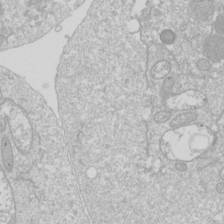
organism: Drosophila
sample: Cell division; meiosis; drosophila spermatocytes